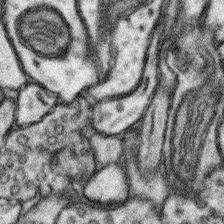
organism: Mouse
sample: Somatosensory cortex neuropil